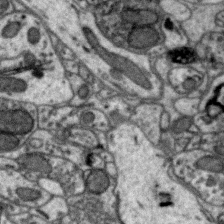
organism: Zebra finch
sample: Brain